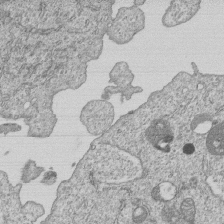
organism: Human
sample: MDA-MB-231 cells